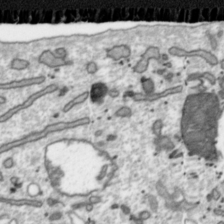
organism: Toxoplasma gondii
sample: Parasites in a vacuole inside a host cell